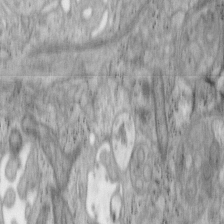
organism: Human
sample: HeLa cells